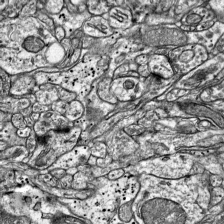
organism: Mouse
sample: Visual Cortex